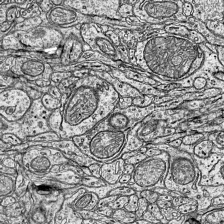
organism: Mouse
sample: Visual Cortex